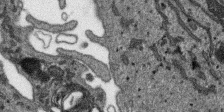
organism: Human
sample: Lung epithelial cells infected with SARS-CoV-2